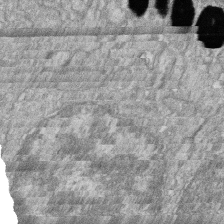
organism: Zebrafish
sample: Cilia; retinal pigment epithelium